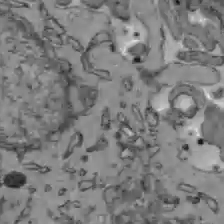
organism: C57BL Mouse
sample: Liver